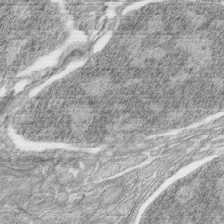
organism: Zebrafish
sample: synaptic ribbons in rod cells and cone cells